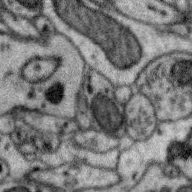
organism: Zebra finch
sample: Brain